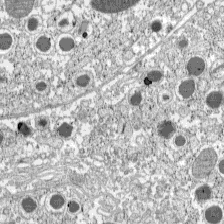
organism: C57BL Mouse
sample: Pancreatic islet